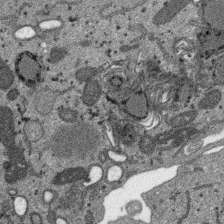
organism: Human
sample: Lung epithelial cells infected with SARS-CoV-2